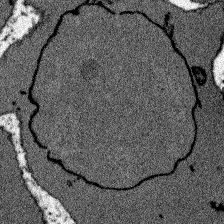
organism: Zebrafish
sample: Larval olfactory bulb